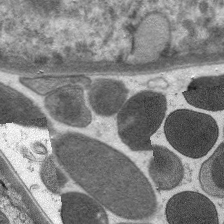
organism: C. elegans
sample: Pharynx